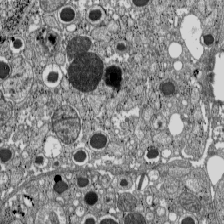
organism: C57BL Mouse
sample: Pancreatic islet